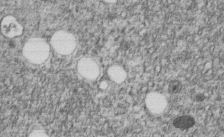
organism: C. elegans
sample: C. elegans embryo early stage